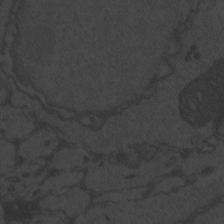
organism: Zebrafish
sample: Macrophage infected with Toxoplasma gondii